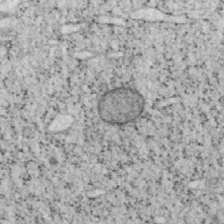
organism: Mouse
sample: OT-I killer T cells with ID8 ovarian cancer cells